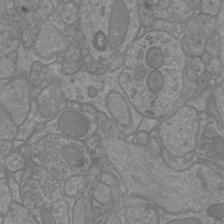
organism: Mouse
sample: Cortical neurons